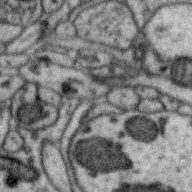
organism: Zebra finch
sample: Brain